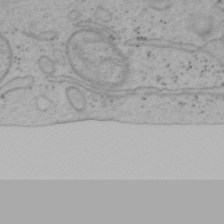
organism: Human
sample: HeLa cells